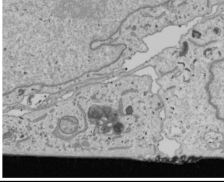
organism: Human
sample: Mitochondria in U2OS cells